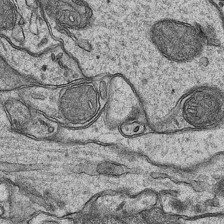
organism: Mouse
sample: CA1 Hippocampus